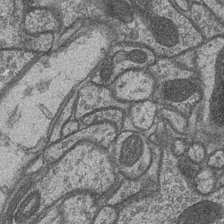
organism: Drosophila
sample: Optic medulla